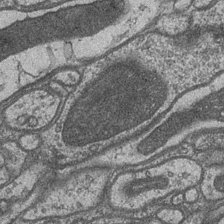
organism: Drosophila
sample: Optic medulla